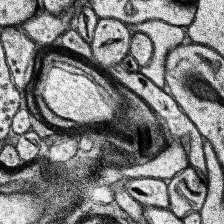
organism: Human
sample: Temporal Lobe